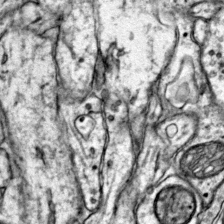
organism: Mouse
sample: Primary visual cortex